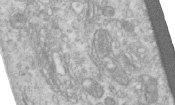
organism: Human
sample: Centriole in RPE cells